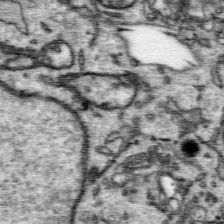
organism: Human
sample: HeLa cells